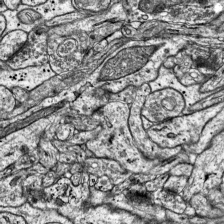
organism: Mouse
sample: Visual Cortex